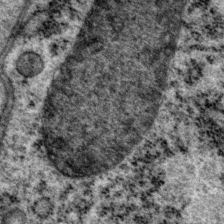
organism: P. pacificus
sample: Pharynx